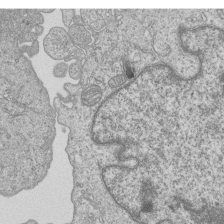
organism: Human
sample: MDA-MB-231 cells